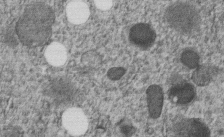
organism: C. elegans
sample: C. elegans embryo early stage